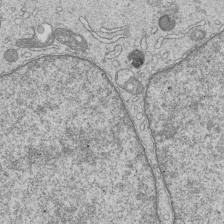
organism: Human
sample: MDA-MB-231 cells